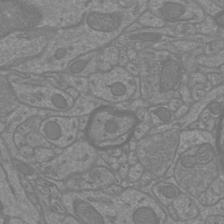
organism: Mouse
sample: Cortical neurons